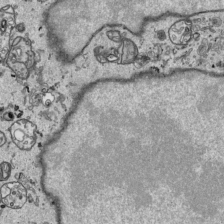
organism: Human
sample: Mitochondria in HCT116 cells